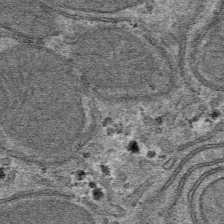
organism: Mouse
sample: Mouse hepatocytes